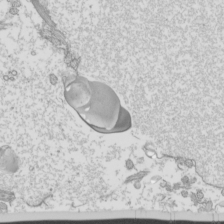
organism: Mouse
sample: Cilia; mouse epididymis